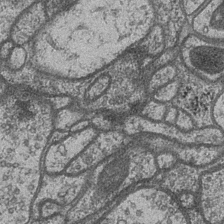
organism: Drosophila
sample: Optic medulla